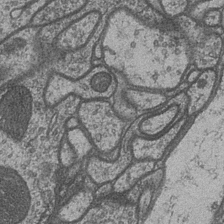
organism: Drosophila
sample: Optic medulla